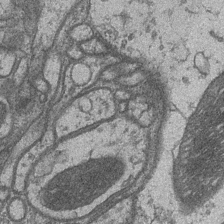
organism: Drosophila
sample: Optic medulla